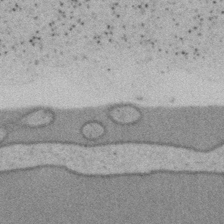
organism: Human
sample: HeLa cells